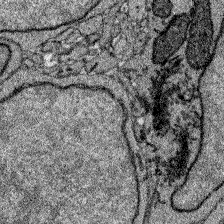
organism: Zebrafish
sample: Larval olfactory bulb